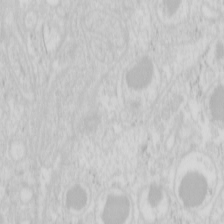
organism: Mouse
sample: Pancreas